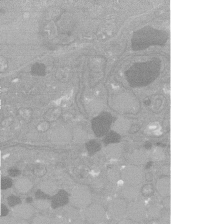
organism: C. elegans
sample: C. elegans oocyte; sperm cells